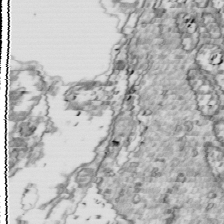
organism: Drosophila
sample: Cell division; meiosis; drosophila spermatocytes